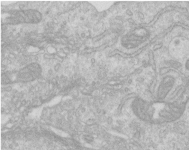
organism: Human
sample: Centriole in RPE cells